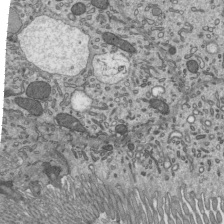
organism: Mouse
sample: Mouse epididymis efferent ductule cilia